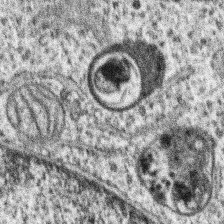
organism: Human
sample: HeLa cells